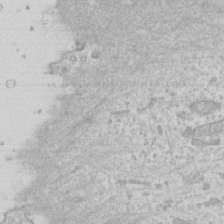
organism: Human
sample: Fibroblast cells